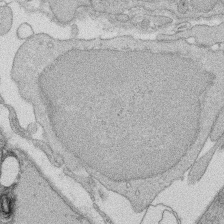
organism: Rat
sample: Salivary granule